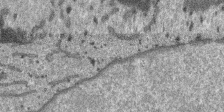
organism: Human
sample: Lung epithelial cells infected with SARS-CoV-2